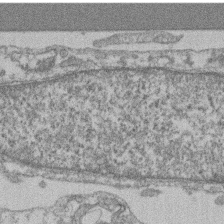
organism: Mouse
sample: T cell stromal cell synapse